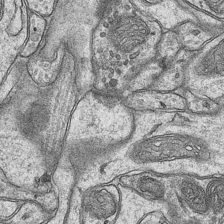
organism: Mouse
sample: CA1 Hippocampus